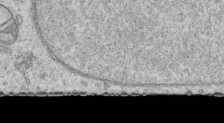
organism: Human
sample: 1205lu cells